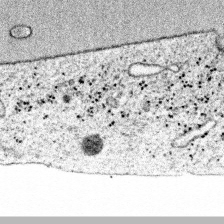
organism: Human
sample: HeLa cells